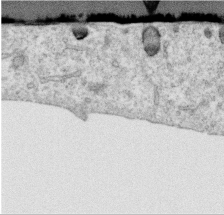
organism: Human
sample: Centriole in RPE cells